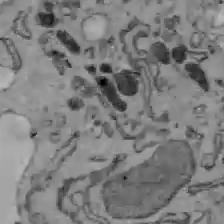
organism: C57BL Mouse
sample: Liver